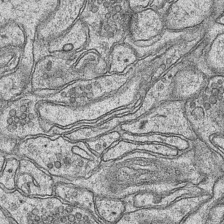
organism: Mouse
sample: CA1 Hippocampus